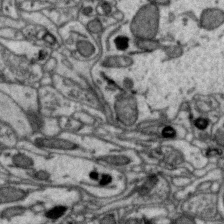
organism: Zebra finch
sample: Brain